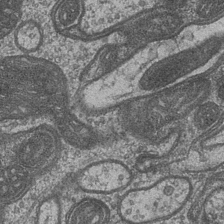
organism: Drosophila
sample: Optic medulla